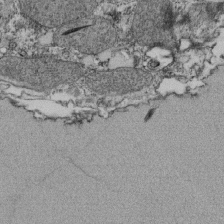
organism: Tetrahymena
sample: Cilia in tetrahymena